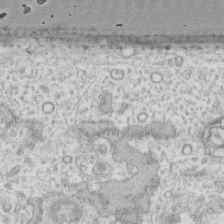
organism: Human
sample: Fibroblast cells